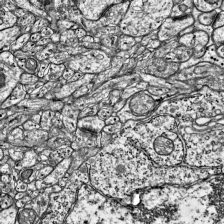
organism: Mouse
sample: Visual Cortex